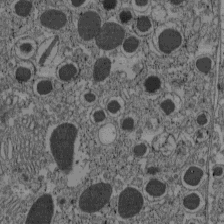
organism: C57BL Mouse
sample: Pancreatic islet